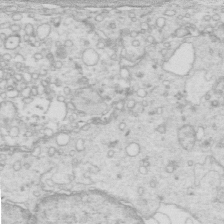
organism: Mouse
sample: Multiciliated cells